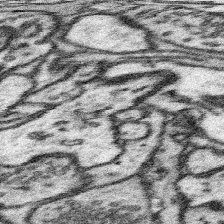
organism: Mouse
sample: Somatosensory cortex neuropil